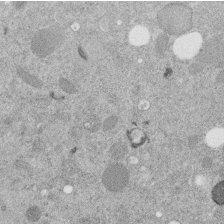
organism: C. elegans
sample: C. elegans embryo early stage